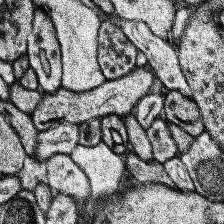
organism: Human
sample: Temporal Lobe